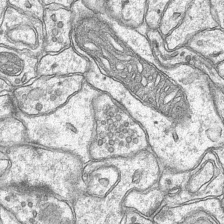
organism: Mouse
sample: CA1 Hippocampus